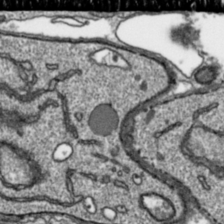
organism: Toxoplasma gondii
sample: Parasites in a vacuole inside a host cell